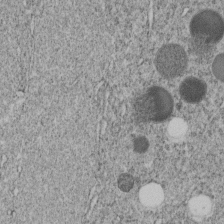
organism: C. elegans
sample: C. elegans embryo early stage